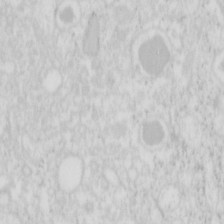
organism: Mouse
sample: Pancreas